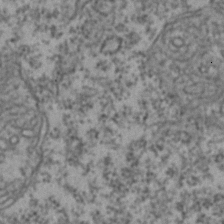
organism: Zebrafish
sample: Zebrafish embryo